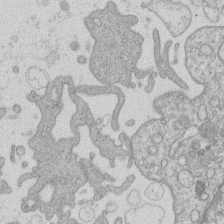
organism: Human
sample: Macrophage cells